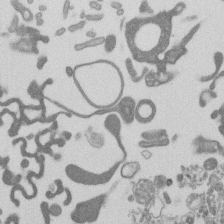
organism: Mouse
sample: Dividing mouse embryo 1 cell stage